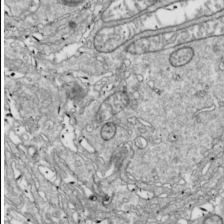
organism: Drosophila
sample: Cell division; meiosis; drosophila spermatocytes